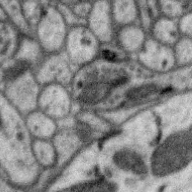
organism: Zebra finch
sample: Brain